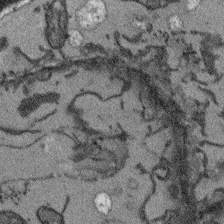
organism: Arabidopsis thaliana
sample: Root tip